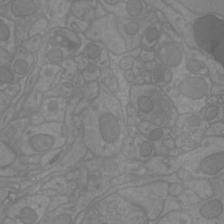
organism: Mouse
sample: Cortical neurons